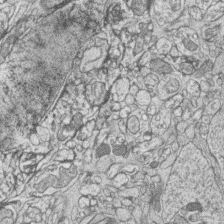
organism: Zebrafish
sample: synaptic ribbons in rod cells and cone cells